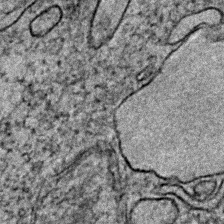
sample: Trachea